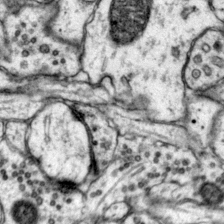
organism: Mouse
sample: Primary visual cortex